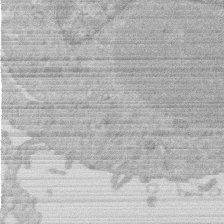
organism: Human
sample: Macrophage cells